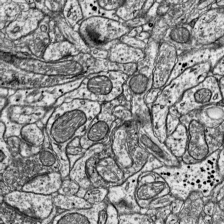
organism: Mouse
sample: Visual Cortex